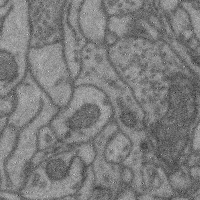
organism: Mouse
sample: Cerebral cortex